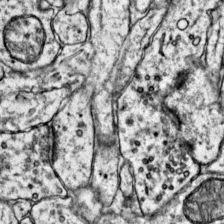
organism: Mouse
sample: Primary visual cortex